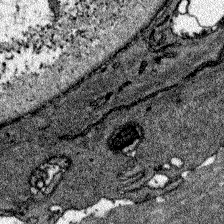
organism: Zebrafish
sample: Larval olfactory bulb